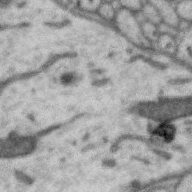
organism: Zebra finch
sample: Brain